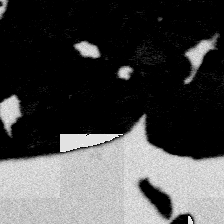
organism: Platynereis dumerilii